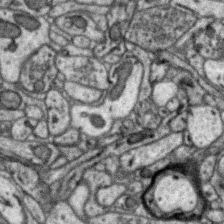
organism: Zebra finch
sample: Brain